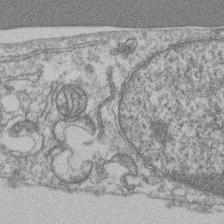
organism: Mouse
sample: T cell stromal cell synapse